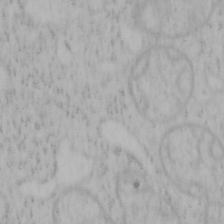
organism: Mouse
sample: OT-I killer T cells with ID8 ovarian cancer cells